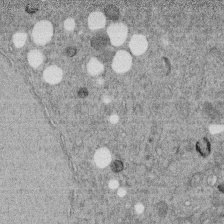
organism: C. elegans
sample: C. elegans embryo early stage